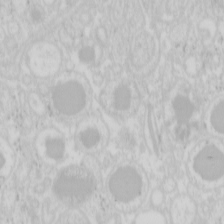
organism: Mouse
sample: Pancreas